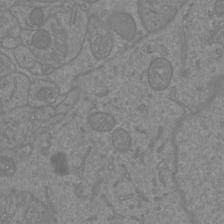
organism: Mouse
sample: Cortical neurons